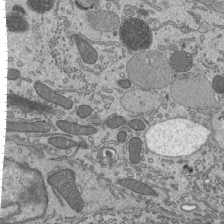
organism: Mouse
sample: Mouse epididymis efferent ductule cilia